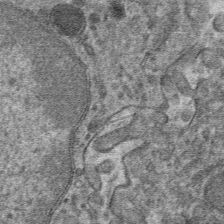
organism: Mouse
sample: Mouse hepatocytes